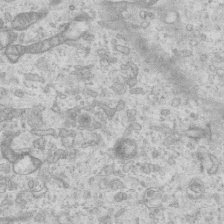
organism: Mouse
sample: Centriole in ependymal cells